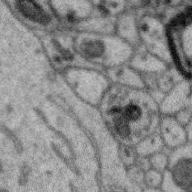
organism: Zebra finch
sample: Brain